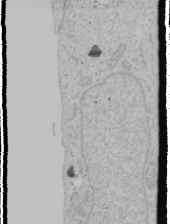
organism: Human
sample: Mitochondria in U2OS cells